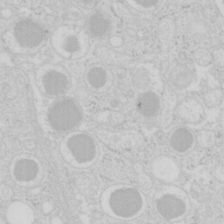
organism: Mouse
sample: Pancreas